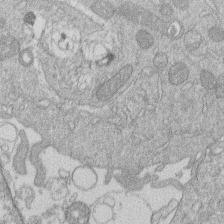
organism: Human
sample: Macrophage cells